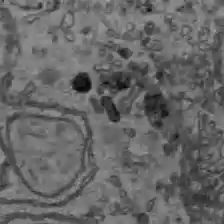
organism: C57BL Mouse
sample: Liver